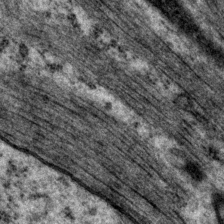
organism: P. pacificus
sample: Pharynx